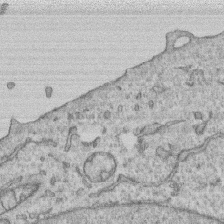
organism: Human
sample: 1205lu cells